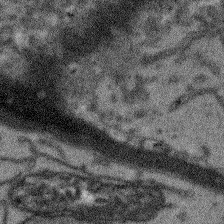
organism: Arabidopsis thaliana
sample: Root tip